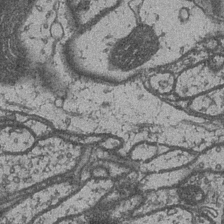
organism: Drosophila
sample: Optic medulla